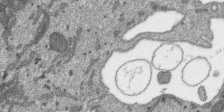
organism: Human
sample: Lung epithelial cells infected with SARS-CoV-2